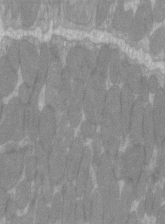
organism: C57BL Mouse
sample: Tibialis anterior muscle cell